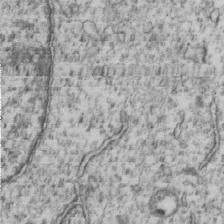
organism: Human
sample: MDA-MB-231 cells